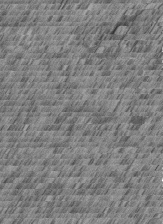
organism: C. elegans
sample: C. elegans embryo early stage